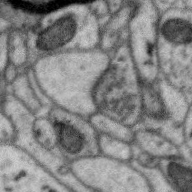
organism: Zebra finch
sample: Brain